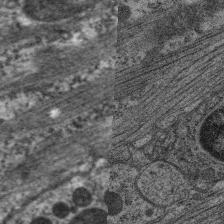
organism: C. elegans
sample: Pharynx